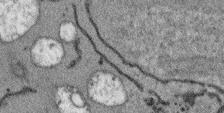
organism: Arabidopsis thaliana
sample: Root tip